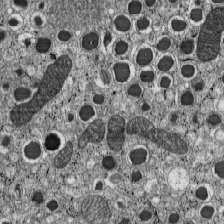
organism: C57BL Mouse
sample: Pancreatic islet